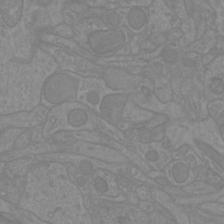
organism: Mouse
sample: Cortical neurons